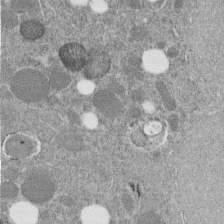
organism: C. elegans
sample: C. elegans embryo early stage